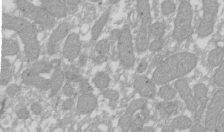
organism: Xenopus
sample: Cilia; centrioles in frog embryo cells